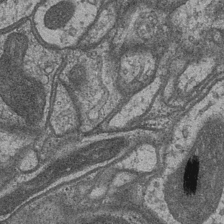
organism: Drosophila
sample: Optic medulla